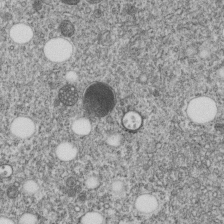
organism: C. elegans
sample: C. elegans embryo early stage